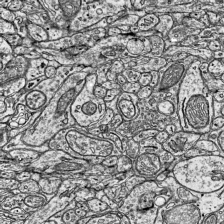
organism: Mouse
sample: Visual Cortex